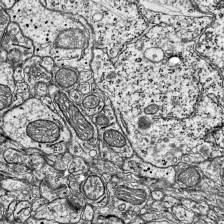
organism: Mouse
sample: Visual Cortex